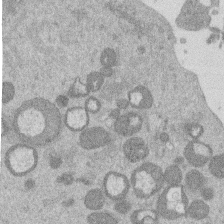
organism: Mouse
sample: Dividing mouse embryo 1 cell stage